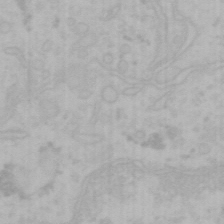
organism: Mouse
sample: Choroid plexus